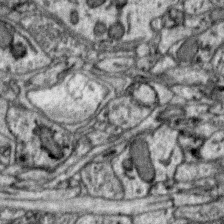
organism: Zebra finch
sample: Brain